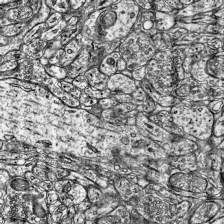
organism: Mouse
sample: Visual Cortex